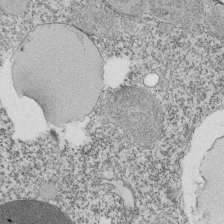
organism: Tetrahymena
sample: Cilia in tetrahymena